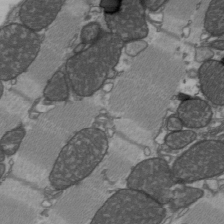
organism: C57BL Mouse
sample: Heart